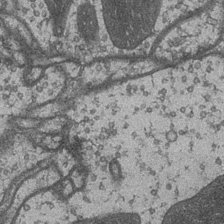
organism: Drosophila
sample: Optic medulla